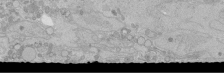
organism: Human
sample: Caco-2 cells